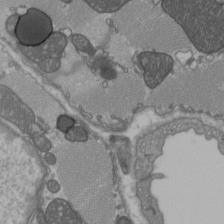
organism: C57BL Mouse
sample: Heart